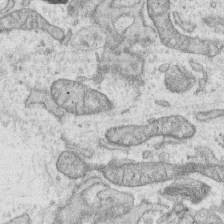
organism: Human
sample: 1205lu cells